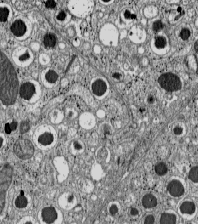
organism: C57BL Mouse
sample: Pancreatic islet